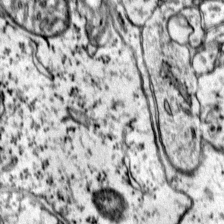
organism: Mouse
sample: Primary visual cortex